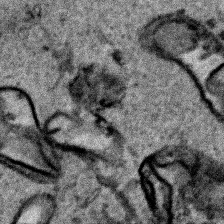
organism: Human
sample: Mitochondria in HCT116 cells